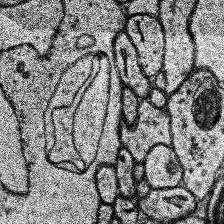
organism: Human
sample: Temporal Lobe